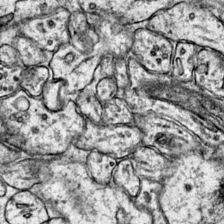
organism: Mouse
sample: Primary visual cortex